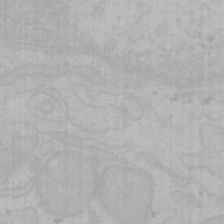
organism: Mouse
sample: Choroid plexus